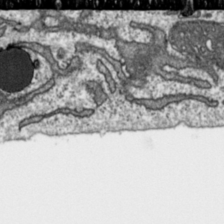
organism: Toxoplasma gondii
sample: Parasites in a vacuole inside a host cell